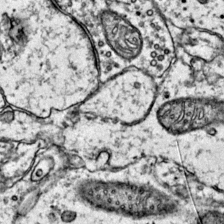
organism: Mouse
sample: Primary visual cortex